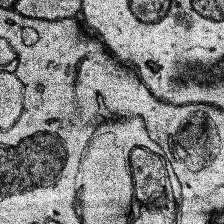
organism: Human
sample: Temporal Lobe